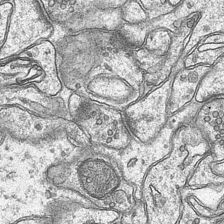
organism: Mouse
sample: CA1 Hippocampus